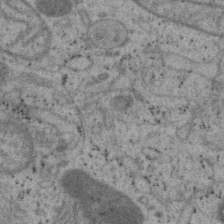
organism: Human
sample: HeLa cells